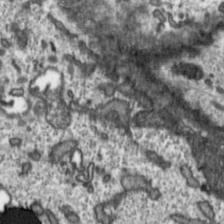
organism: Toxoplasma gondii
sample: Parasites in a vacuole inside a host cell